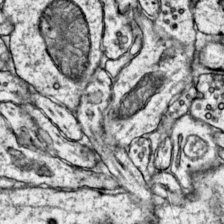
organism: Mouse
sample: Primary visual cortex